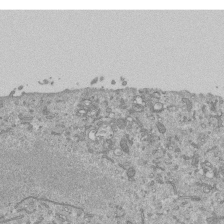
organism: Mouse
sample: ED-1 cell nuclei; centrioles